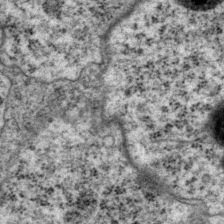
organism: P. pacificus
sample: Pharynx